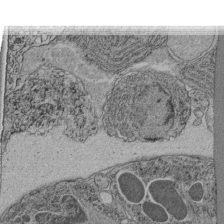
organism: C. elegans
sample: C. elegans pharynx